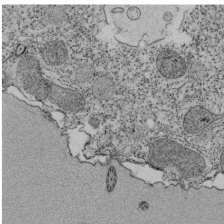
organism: Tetrahymena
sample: Cilia in tetrahymena